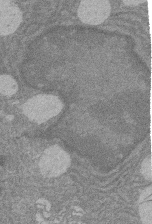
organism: Rat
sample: Salivary granule